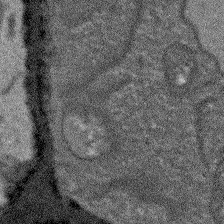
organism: Arabidopsis thaliana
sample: Root tip